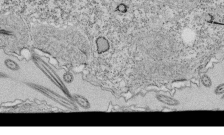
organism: Tetrahymena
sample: Cilia in tetrahymena